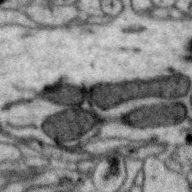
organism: Zebra finch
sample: Brain